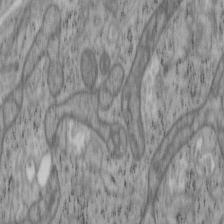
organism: Human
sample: HeLa cells